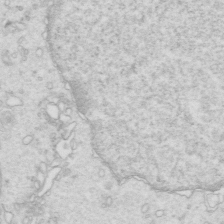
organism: Mouse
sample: Multiciliated cells